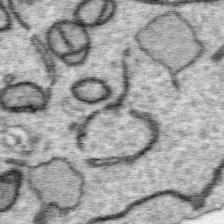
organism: Human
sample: HeLa cells